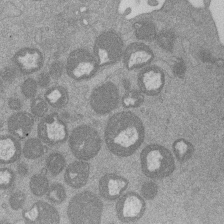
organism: Mouse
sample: Dividing mouse embryo 1 cell stage